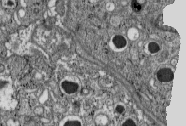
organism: C57BL Mouse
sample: Pancreatic islet